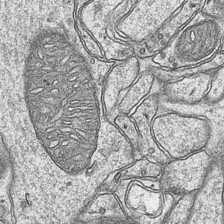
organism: Mouse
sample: CA1 Hippocampus